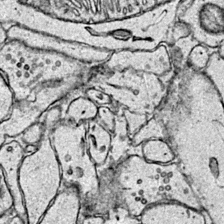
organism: Mouse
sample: Primary visual cortex